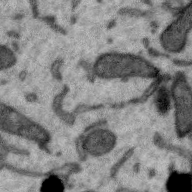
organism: Zebra finch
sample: Brain